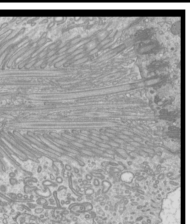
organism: Mouse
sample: Cilia; mouse epididymis